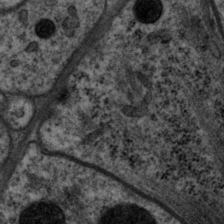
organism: P. pacificus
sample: Pharynx